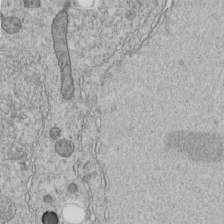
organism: C. elegans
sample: C. elegans embryo early stage